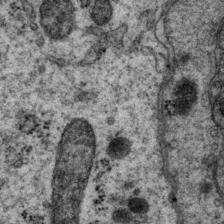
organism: P. pacificus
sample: Pharynx